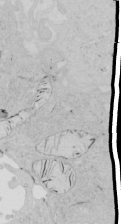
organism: Human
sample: Mitochondria in HCT116 cells